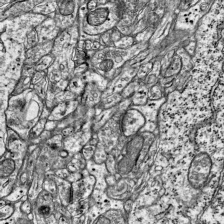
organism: Mouse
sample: Visual Cortex